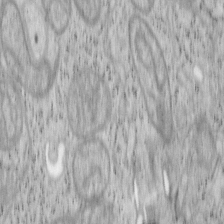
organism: Human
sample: HeLa cells